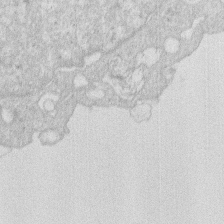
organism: Human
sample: Macrophage cells